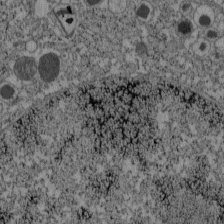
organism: C57BL Mouse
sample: Pancreatic islet